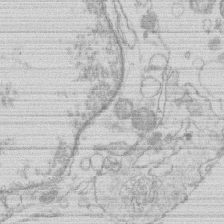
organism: Human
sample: Macrophage cells